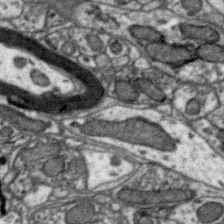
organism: Zebra finch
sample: Brain